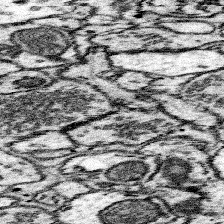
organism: Mouse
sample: Somatosensory cortex neuropil